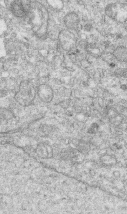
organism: Human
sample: HeLa cell HIV synapse